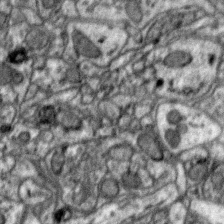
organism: Zebra finch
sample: Brain